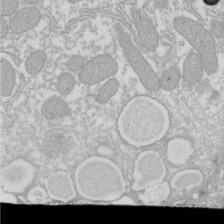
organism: Xenopus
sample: Cilia; centrioles in frog embryo cells